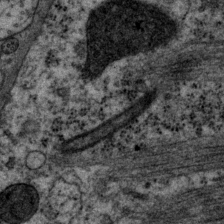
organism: P. pacificus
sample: Pharynx